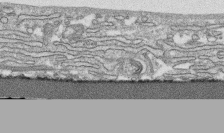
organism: Human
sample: CRL-1474